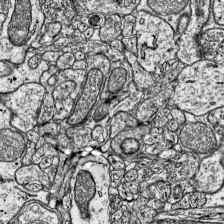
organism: Mouse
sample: Visual Cortex